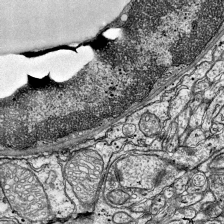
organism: Mouse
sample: Visual Cortex